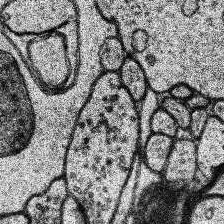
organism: Human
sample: Temporal Lobe